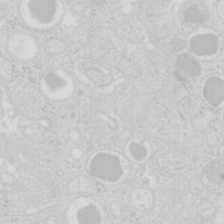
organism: Mouse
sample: Pancreas